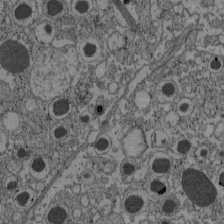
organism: C57BL Mouse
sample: Pancreatic islet